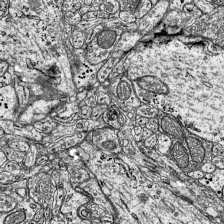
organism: Mouse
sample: Visual Cortex